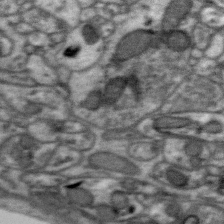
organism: Zebra finch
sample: Brain